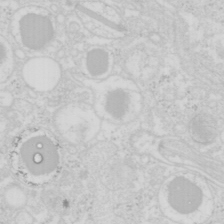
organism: Mouse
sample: Pancreas